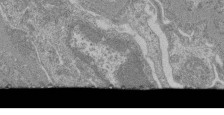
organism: Mouse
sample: Glomerulus